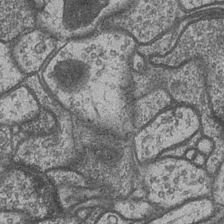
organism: Drosophila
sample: Optic medulla